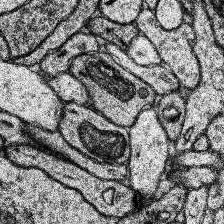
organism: Human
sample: Temporal Lobe